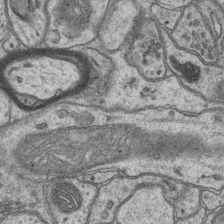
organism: Mouse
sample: CA1 Hippocampus